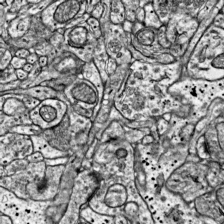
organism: Mouse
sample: Visual Cortex